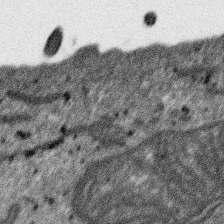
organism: Human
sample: Lung epithelial cells infected with SARS-CoV-2